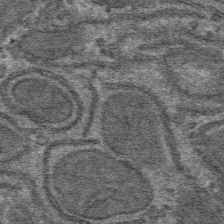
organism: Mouse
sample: Mouse hepatocytes